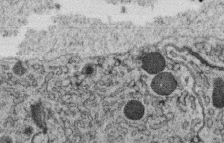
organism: C. elegans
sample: C. elegans oocyte; sperm cells